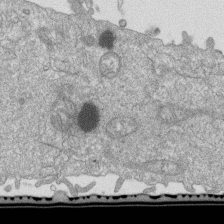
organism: Human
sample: HeLa cell HIV synapse